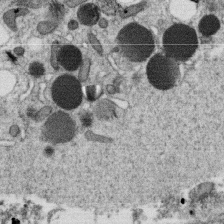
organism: C. elegans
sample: C. elegans oocyte; sperm cells